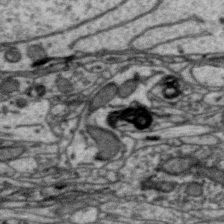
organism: Zebra finch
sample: Brain